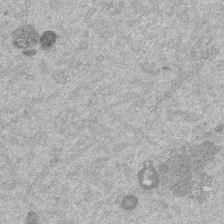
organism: Mouse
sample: Dividing mouse embryo 1 cell stage